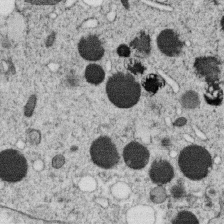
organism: C. elegans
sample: C. elegans oocyte; sperm cells